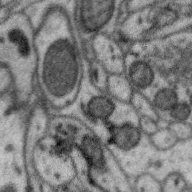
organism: Zebra finch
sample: Brain